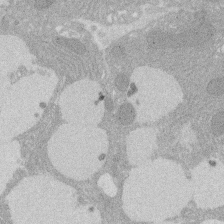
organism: Rat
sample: Salivary granule